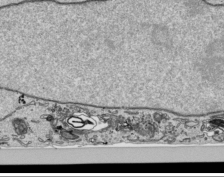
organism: Human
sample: Mitochondria in HCT116 cells